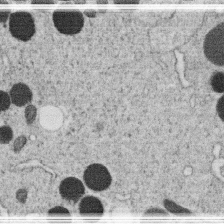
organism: C. elegans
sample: C. elegans oocyte; sperm cells